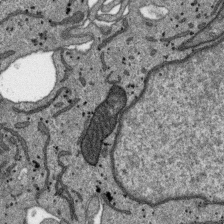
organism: Human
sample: Lung epithelial cells, uninfected (mock) control